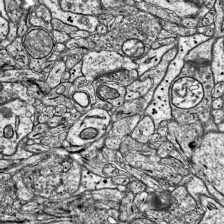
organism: Mouse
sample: Visual Cortex